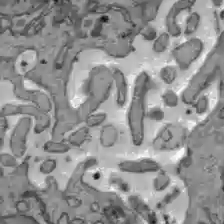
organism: C57BL Mouse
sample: Liver